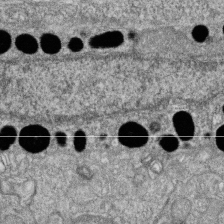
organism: Zebrafish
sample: Cilia; retinal pigment epithelium